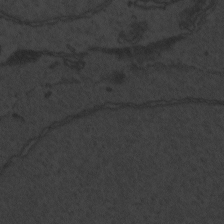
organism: Zebrafish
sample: Macrophage infected with Toxoplasma gondii